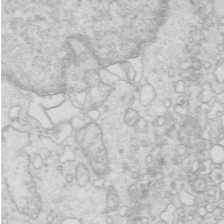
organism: Mouse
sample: Multiciliated cells